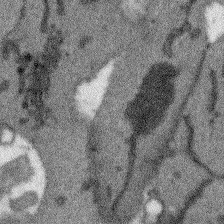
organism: Arabidopsis thaliana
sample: Root tip